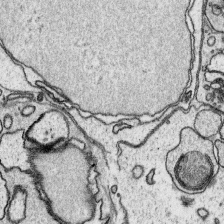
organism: Platynereis dumerilii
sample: Parapodia